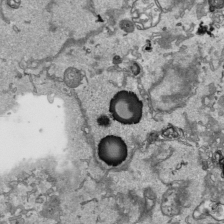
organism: Human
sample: Mitochondria in HCT116 cells